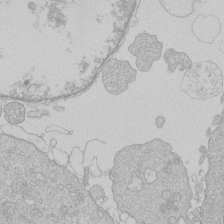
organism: Human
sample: Macrophage cells